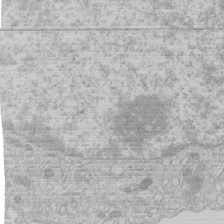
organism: Human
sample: Macrophage cells